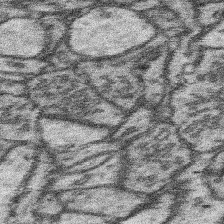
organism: Mouse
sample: Somatosensory cortex neuropil